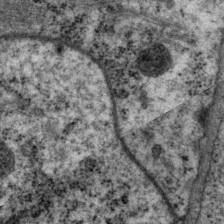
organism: P. pacificus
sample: Pharynx